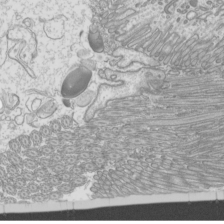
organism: Mouse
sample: Cilia; mouse epididymis